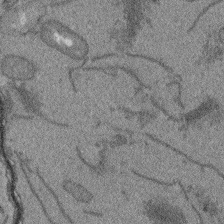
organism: Arabidopsis thaliana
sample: Root tip